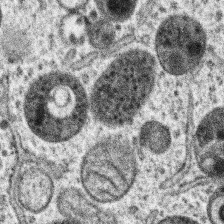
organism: Human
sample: HeLa cells